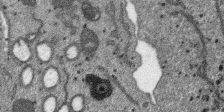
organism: Human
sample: Lung epithelial cells infected with SARS-CoV-2